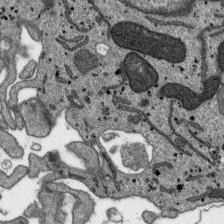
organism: Human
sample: Lung epithelial cells, uninfected (mock) control